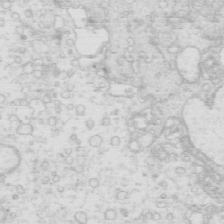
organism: Mouse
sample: Multiciliated cells